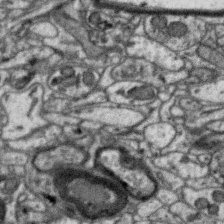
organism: Zebra finch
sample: Brain